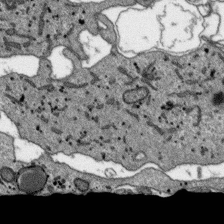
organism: Human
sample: Lung epithelial cells, uninfected (mock) control